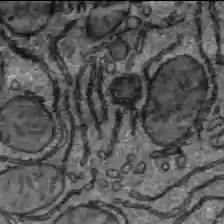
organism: C57BL Mouse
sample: Liver